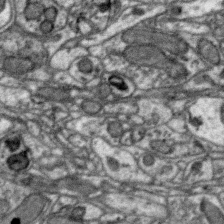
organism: Zebra finch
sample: Brain